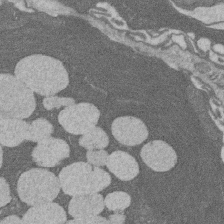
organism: Rat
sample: Salivary granule